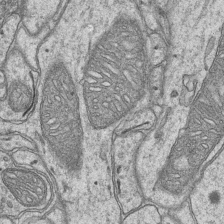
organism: Mouse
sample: CA1 Hippocampus